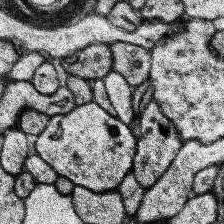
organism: Human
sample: Temporal Lobe